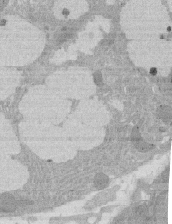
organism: Rat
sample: Salivary granule